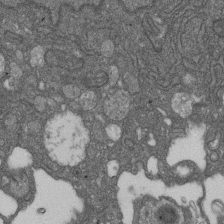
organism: Drosophila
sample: Nephrocyte